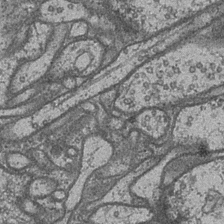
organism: Drosophila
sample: Optic medulla